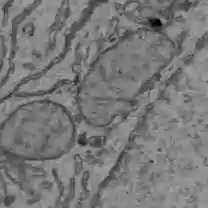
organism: C57BL Mouse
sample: Liver